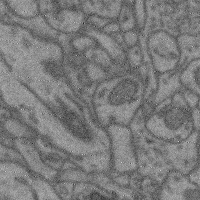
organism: Mouse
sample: Cerebral cortex